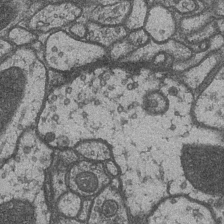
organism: Drosophila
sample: Optic medulla